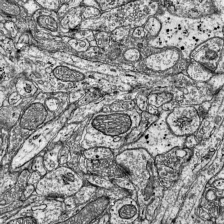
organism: Mouse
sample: Visual Cortex